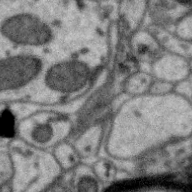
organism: Zebra finch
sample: Brain